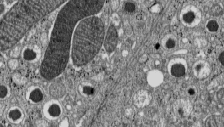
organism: C57BL Mouse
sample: Pancreatic islet